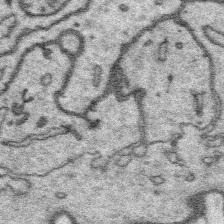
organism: Platynereis dumerilii